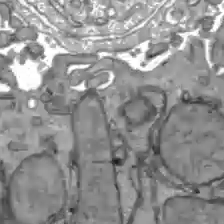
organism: C57BL Mouse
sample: Liver